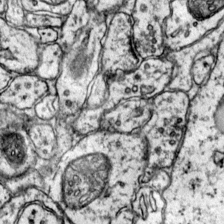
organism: Mouse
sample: Primary visual cortex